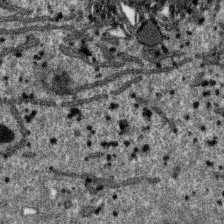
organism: Human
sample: Lung epithelial cells infected with SARS-CoV-2